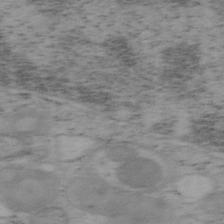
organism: Mouse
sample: OT-I killer T cells with ID8 ovarian cancer cells